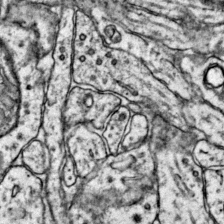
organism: Mouse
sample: Primary visual cortex